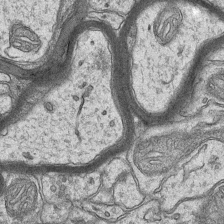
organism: Mouse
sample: CA1 Hippocampus